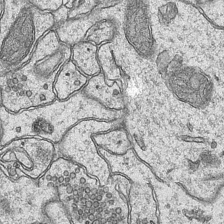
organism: Mouse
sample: CA1 Hippocampus